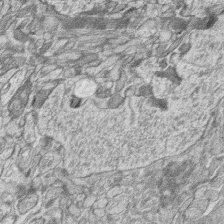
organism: Zebrafish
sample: synaptic ribbons in rod cells and cone cells